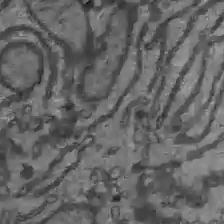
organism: C57BL Mouse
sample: Liver